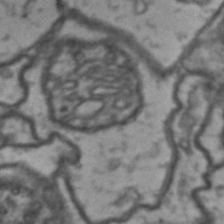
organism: Drosophila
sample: Brain